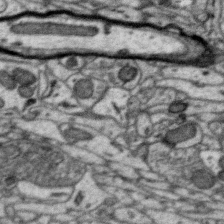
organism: Zebra finch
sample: Brain